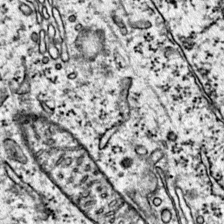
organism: Mouse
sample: Primary visual cortex